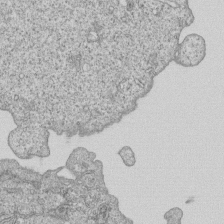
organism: Human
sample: MDA-MB-231 cells